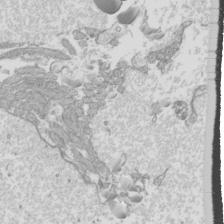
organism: Mouse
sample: Cilia; mouse epididymis